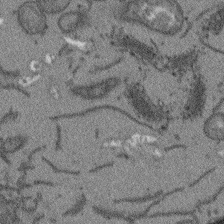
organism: Arabidopsis thaliana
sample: Root tip